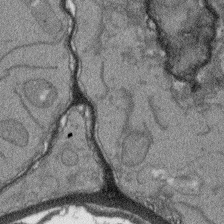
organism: Arabidopsis thaliana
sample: Root tip